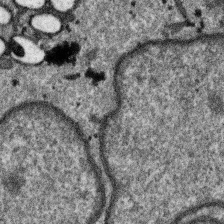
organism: Human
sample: Lung epithelial cells infected with SARS-CoV-2